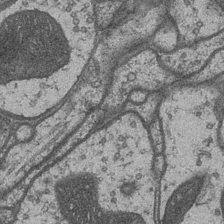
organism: Drosophila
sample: Optic medulla